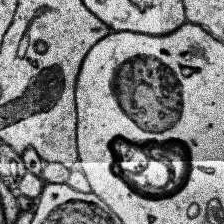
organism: Human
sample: Temporal Lobe